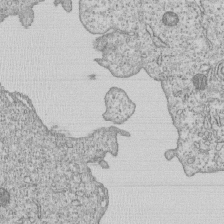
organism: Human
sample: MDA-MB-231 cells